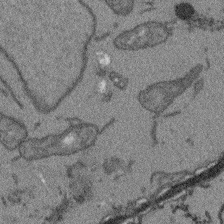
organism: Arabidopsis thaliana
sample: Root tip